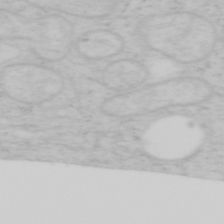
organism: Mouse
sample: OT-I killer T cells with ID8 ovarian cancer cells